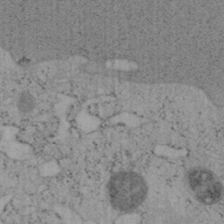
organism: Mouse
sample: OT-I killer T cells with ID8 ovarian cancer cells